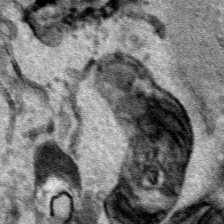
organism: Human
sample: Mitochondria in HCT116 cells